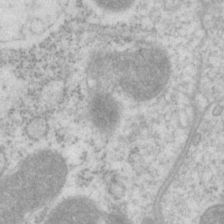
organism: P. pacificus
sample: Pharynx